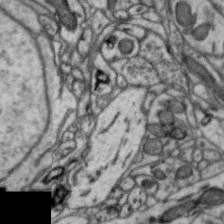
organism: Zebra finch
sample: Brain